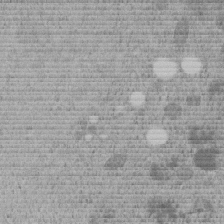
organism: C. elegans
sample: C. elegans embryo early stage